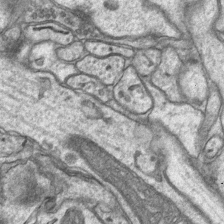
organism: Mouse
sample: CA1 Hippocampus